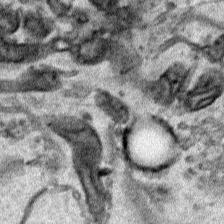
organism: Human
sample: Mitochondria in HCT116 cells